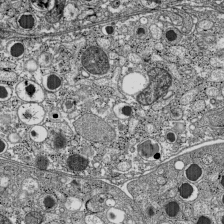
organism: C57BL Mouse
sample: Pancreatic islet